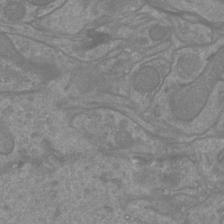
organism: Mouse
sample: Cortical neurons